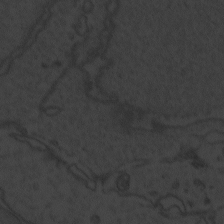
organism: Zebrafish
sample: Macrophage infected with Toxoplasma gondii